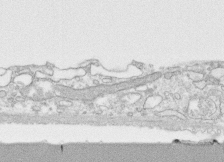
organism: Human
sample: CRL-1474